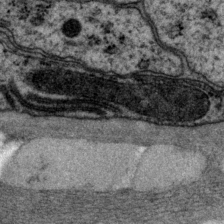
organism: P. pacificus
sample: Pharynx